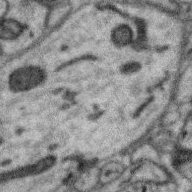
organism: Zebra finch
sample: Brain